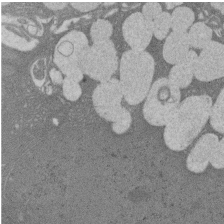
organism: Rat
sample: Salivary granule